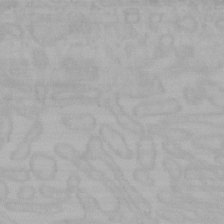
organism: Mouse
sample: Choroid plexus